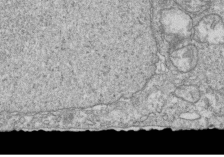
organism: Human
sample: HeLa cell HIV synapse